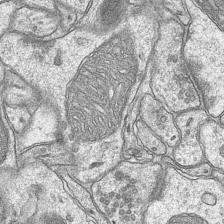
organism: Mouse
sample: CA1 Hippocampus